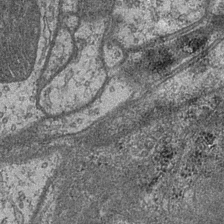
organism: Drosophila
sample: Optic medulla